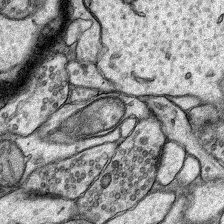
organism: Rat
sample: Hippocampus